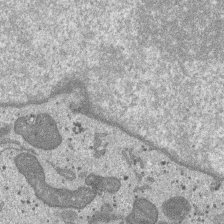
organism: Human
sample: Lung epithelial cells infected with SARS-CoV-2